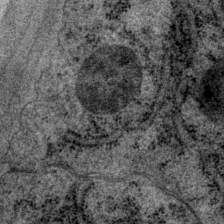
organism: P. pacificus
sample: Pharynx